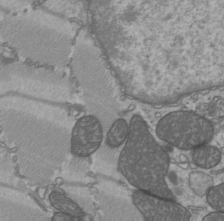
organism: C57BL Mouse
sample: Heart